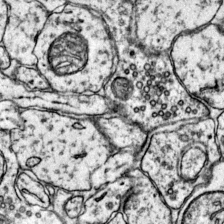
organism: Mouse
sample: Primary visual cortex